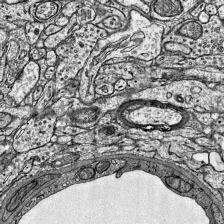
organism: Mouse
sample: Visual Cortex